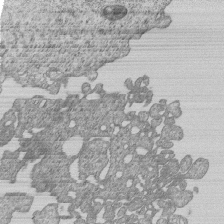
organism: Human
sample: MDA-MB-231 cells